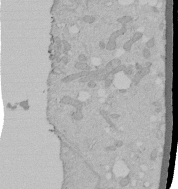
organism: Human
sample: Melanocyte Keratinocyte synapse skin construct